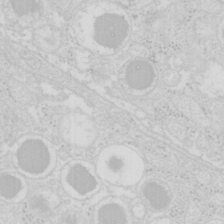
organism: Mouse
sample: Pancreas